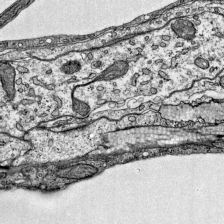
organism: Mouse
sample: Visual Cortex